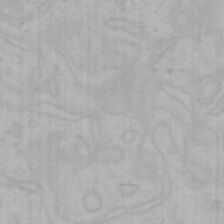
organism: Mouse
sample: Choroid plexus